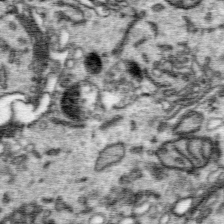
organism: Human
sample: HeLa cells